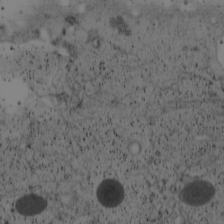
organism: African green monkey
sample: COS-7 cells